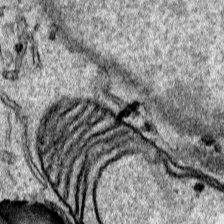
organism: Human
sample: Mitochondria in HCT116 cells